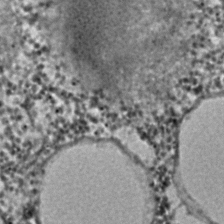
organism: C. elegans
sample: C. elegans embryo